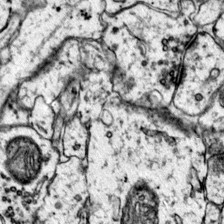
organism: Mouse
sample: Primary visual cortex